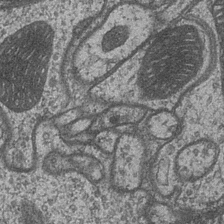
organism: Drosophila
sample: Optic medulla